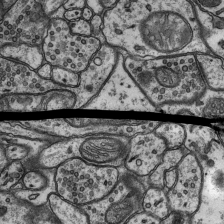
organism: Rat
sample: Hippocampus